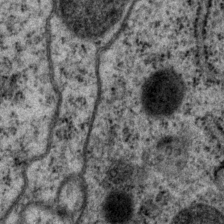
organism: P. pacificus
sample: Pharynx